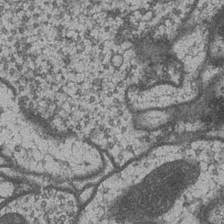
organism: Drosophila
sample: Optic medulla